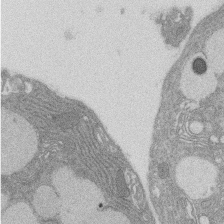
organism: Rat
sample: Salivary granule